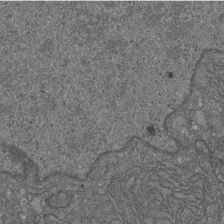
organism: Drosophila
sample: Nephrocyte